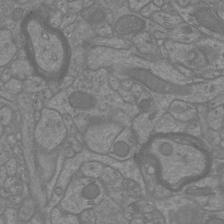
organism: Mouse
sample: Cortical neurons